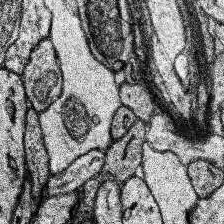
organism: Human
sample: Temporal Lobe